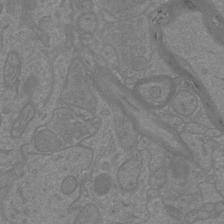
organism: Mouse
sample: Cortical neurons